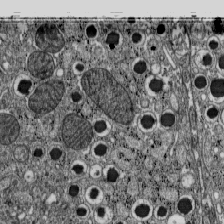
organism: C57BL Mouse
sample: Pancreatic islet